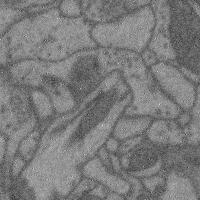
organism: Mouse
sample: Cerebral cortex